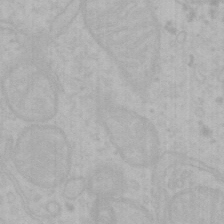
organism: Mouse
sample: Choroid plexus